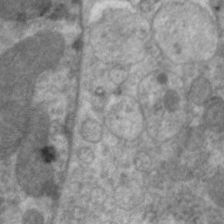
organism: C. elegans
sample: Pharynx